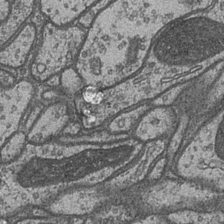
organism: Drosophila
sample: Optic medulla